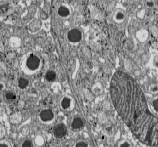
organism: C57BL Mouse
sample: Pancreatic islet